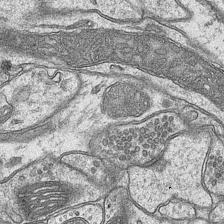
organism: Mouse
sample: CA1 Hippocampus